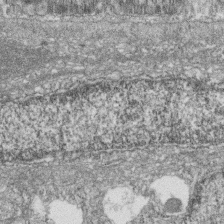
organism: Zebrafish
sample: Cilia; retinal pigment epithelium